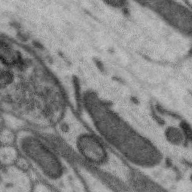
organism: Zebra finch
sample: Brain